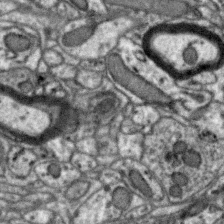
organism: Zebra finch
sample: Brain